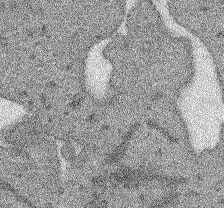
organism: Human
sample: HeLa cells